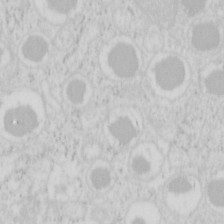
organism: Mouse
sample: Pancreas